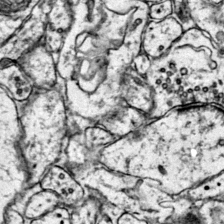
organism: Mouse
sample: Primary visual cortex